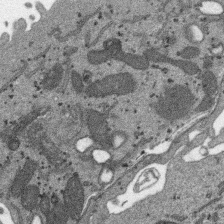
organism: Human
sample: Lung epithelial cells infected with SARS-CoV-2